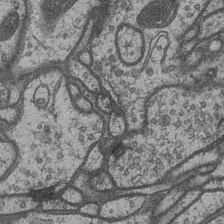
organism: Drosophila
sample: Optic medulla